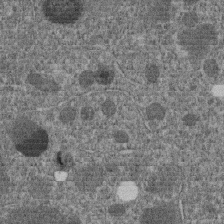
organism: C. elegans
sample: C. elegans embryo early stage